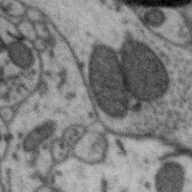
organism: Zebra finch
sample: Brain